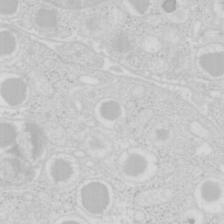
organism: Mouse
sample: Pancreas